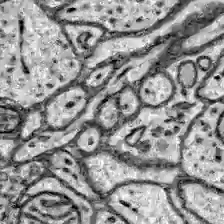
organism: Zebrafish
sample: Brain